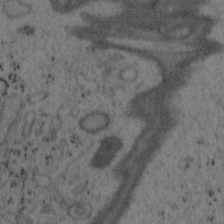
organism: Human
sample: HeLa cells